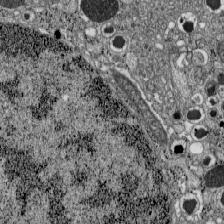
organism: C57BL Mouse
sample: Pancreatic islet